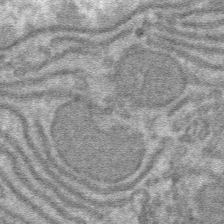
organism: Mouse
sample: Mouse hepatocytes